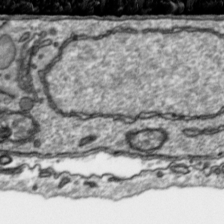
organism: Toxoplasma gondii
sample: Parasites in a vacuole inside a host cell